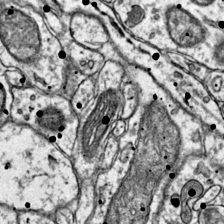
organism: Mouse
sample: Primary visual cortex